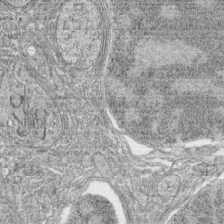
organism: Zebrafish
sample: synaptic ribbons in rod cells and cone cells